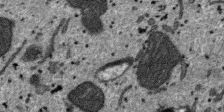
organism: Human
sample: Lung epithelial cells, uninfected (mock) control